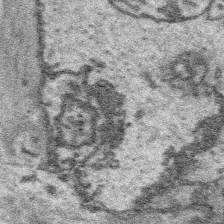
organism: Platynereis dumerilii